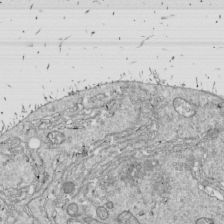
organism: Drosophila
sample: Cell division; meiosis; drosophila spermatocytes